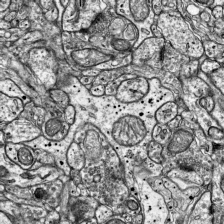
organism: Mouse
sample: Visual Cortex